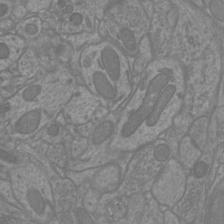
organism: Mouse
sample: Cortical neurons